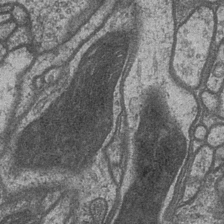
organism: Drosophila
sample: Optic medulla